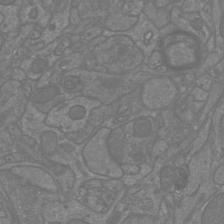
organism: Mouse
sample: Cortical neurons